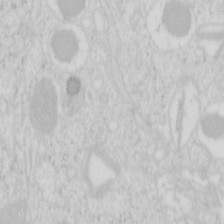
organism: Mouse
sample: Pancreas